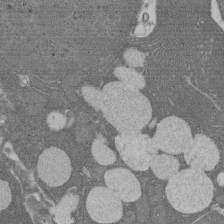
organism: Rat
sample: Salivary granule